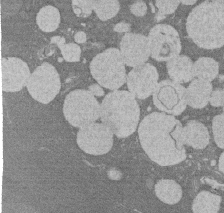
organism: Rat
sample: Salivary granule